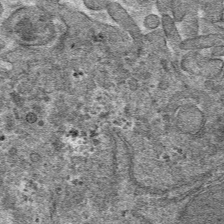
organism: Mouse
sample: Mouse hepatocytes